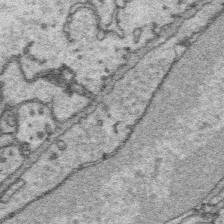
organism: Platynereis dumerilii